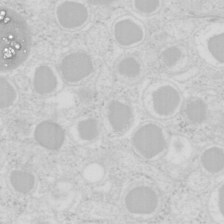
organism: Mouse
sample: Pancreas